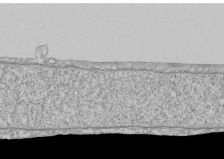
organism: Human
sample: CRL-1474